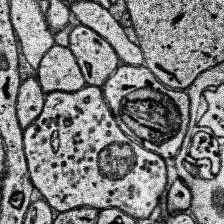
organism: Human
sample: Temporal Lobe